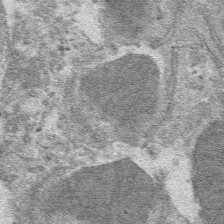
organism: Mouse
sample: Mouse hepatocytes